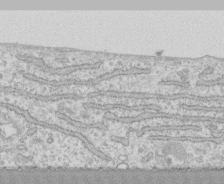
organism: Human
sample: CRL-1474